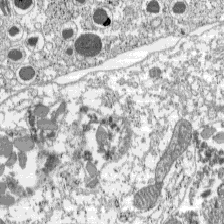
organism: C57BL Mouse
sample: Pancreatic islet